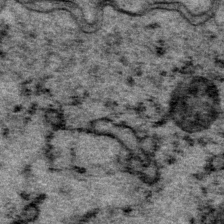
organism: P. pacificus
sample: Pharynx